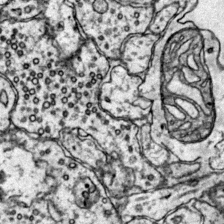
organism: Mouse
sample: Primary visual cortex